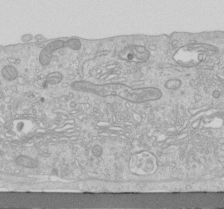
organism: Human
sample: Centriole in RPE cells